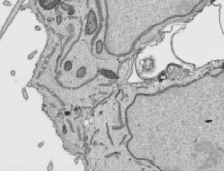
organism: Human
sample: Mitochondria in HCT116 cells